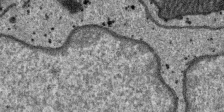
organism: Human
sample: Lung epithelial cells, uninfected (mock) control